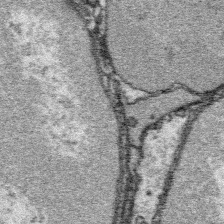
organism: Platynereis dumerilii